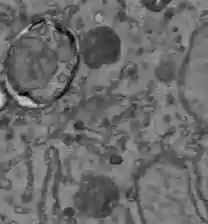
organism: C57BL Mouse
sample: Liver